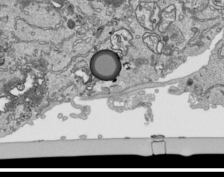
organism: Human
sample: Mitochondria in HCT116 cells